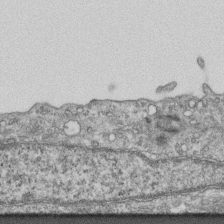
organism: Mouse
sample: Centriole in ependymal cells